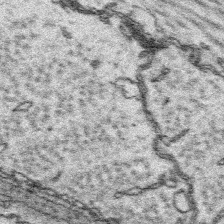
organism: Platynereis dumerilii